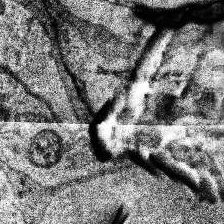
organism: Human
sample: Temporal Lobe